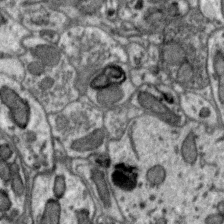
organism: Zebra finch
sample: Brain